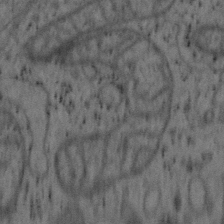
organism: Human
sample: HeLa cells